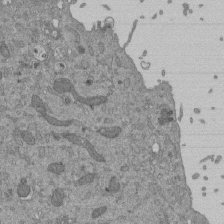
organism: Mouse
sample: ED-1 cell nuclei; centrioles